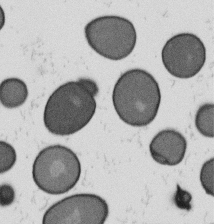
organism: B. subtilis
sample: Bacterial spore